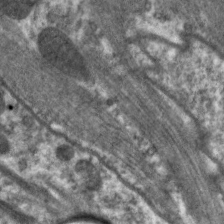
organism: C. elegans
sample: Pharynx